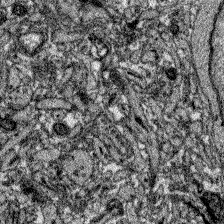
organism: Zebrafish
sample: Larval olfactory bulb